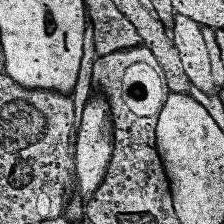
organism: Human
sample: Temporal Lobe